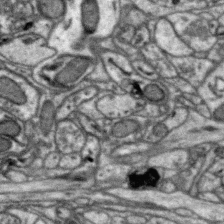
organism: Zebra finch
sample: Brain